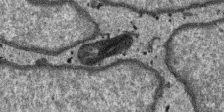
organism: Human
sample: Lung epithelial cells, uninfected (mock) control